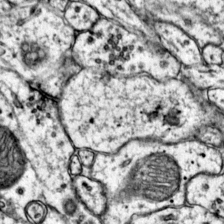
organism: Mouse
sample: Primary visual cortex